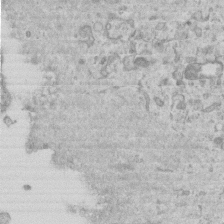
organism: Mouse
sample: Centriole in ependymal cells